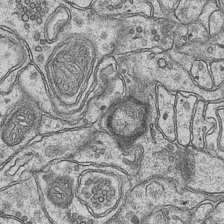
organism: Mouse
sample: CA1 Hippocampus